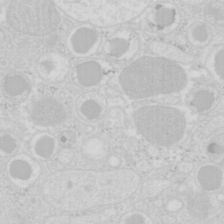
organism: Mouse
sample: Pancreas